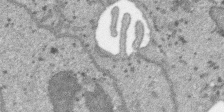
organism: Human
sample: Lung epithelial cells infected with SARS-CoV-2